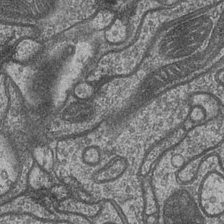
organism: Drosophila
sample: Optic medulla